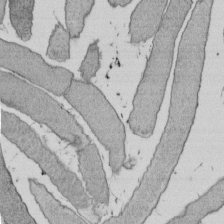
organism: E. coli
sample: Bacterial nucleoid